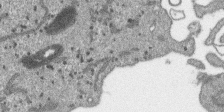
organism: Human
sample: Lung epithelial cells infected with SARS-CoV-2